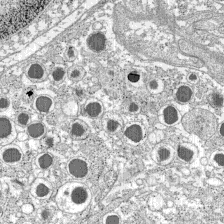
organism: C57BL Mouse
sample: Pancreatic islet